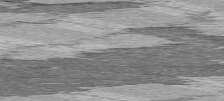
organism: C57BL Mouse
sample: Heart